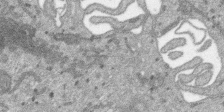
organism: Human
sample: Lung epithelial cells infected with SARS-CoV-2